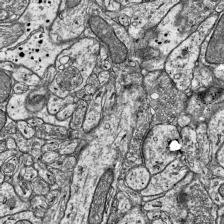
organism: Mouse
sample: Visual Cortex